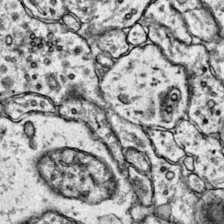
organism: Mouse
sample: Primary visual cortex